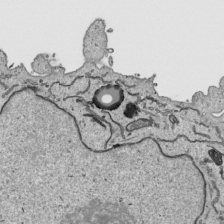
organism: Human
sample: Mitochondria in HCT116 cells